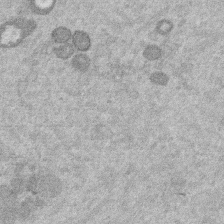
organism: Mouse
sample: Dividing mouse embryo 1 cell stage